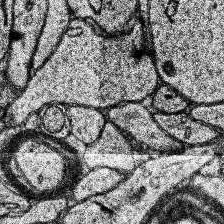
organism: Human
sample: Temporal Lobe